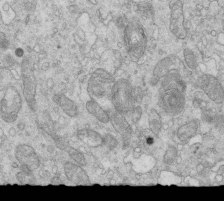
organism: Mouse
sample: Multiciliated cells